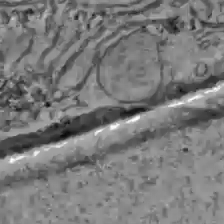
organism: C57BL Mouse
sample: Liver